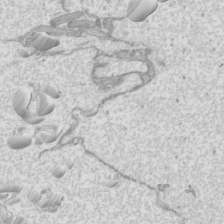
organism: Mouse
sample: Cilia; mouse epididymis